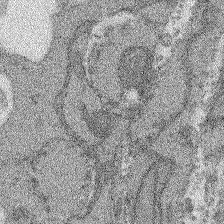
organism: Human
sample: HeLa cells